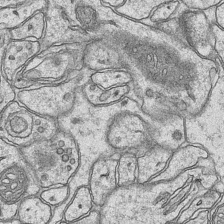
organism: Mouse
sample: CA1 Hippocampus